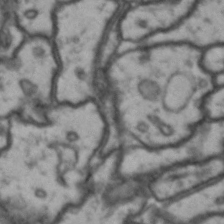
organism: Drosophila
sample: Brain